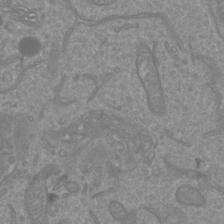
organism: Mouse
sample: Cortical neurons